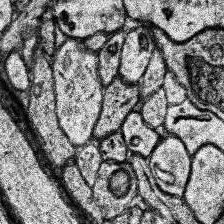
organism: Human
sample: Temporal Lobe